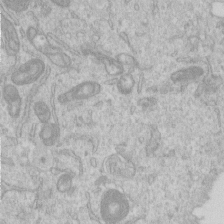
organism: Human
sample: Centriole in RPE cells